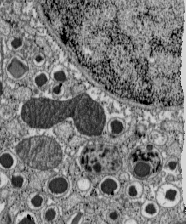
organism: C57BL Mouse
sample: Pancreatic islet